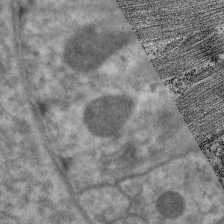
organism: C. elegans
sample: Pharynx